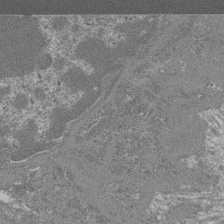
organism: Mouse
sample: Glomerulus